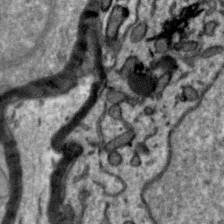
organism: Zebra finch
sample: Brain